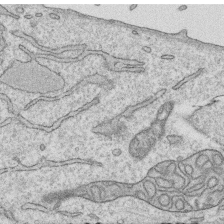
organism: Human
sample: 1205lu cells